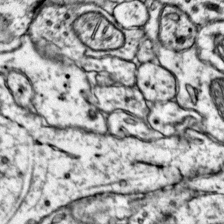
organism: Mouse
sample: Primary visual cortex